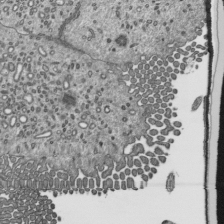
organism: Mouse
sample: Mouse epididymis efferent ductule cilia